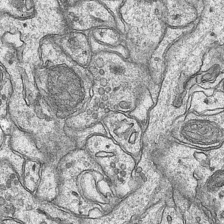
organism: Mouse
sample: CA1 Hippocampus